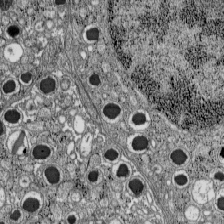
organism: C57BL Mouse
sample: Pancreatic islet